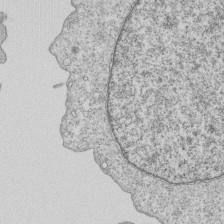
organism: Human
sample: MDA-MB-231 cells